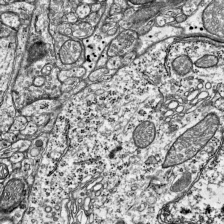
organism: Mouse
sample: Visual Cortex